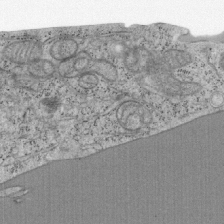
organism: Human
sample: HeLa cells